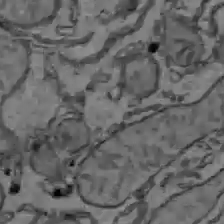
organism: C57BL Mouse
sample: Liver